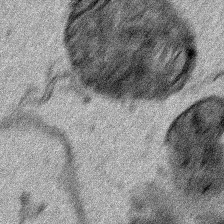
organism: Human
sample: Mitochondria in HCT116 cells